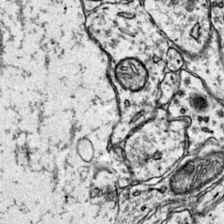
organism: Mouse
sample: Primary visual cortex